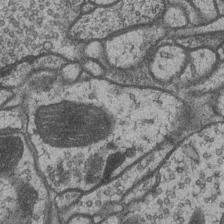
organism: Drosophila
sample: Optic medulla